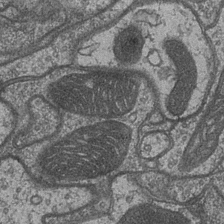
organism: Drosophila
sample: Optic medulla